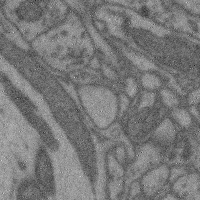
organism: Mouse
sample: Cerebral cortex